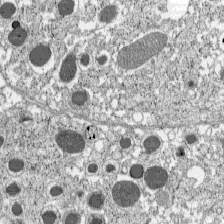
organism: C57BL Mouse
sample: Pancreatic islet